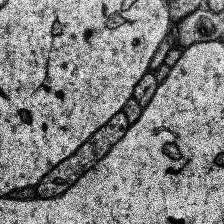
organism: Human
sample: Temporal Lobe